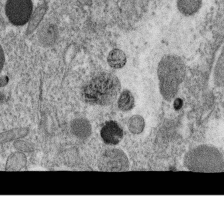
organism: C. elegans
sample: C. elegans oocyte; sperm cells